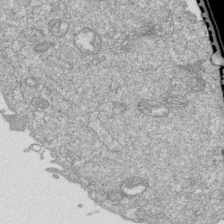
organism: Human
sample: HeLa cell HIV synapse